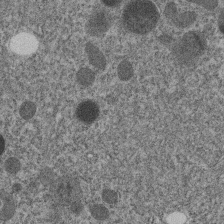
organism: C. elegans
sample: C. elegans embryo early stage